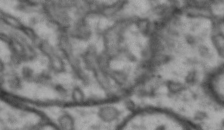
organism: Drosophila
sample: Brain